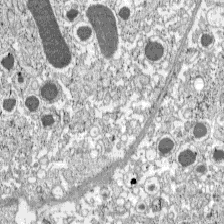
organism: C57BL Mouse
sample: Pancreatic islet